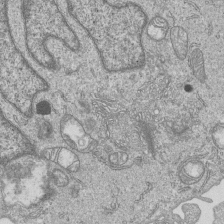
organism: Human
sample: MDA-MB-231 cells